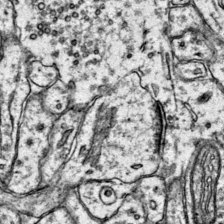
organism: Mouse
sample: Primary visual cortex